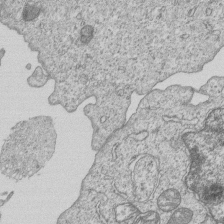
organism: Human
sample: MDA-MB-231 cells